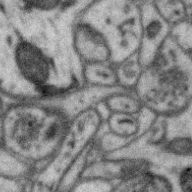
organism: Zebra finch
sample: Brain